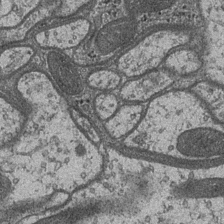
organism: Drosophila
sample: Optic medulla